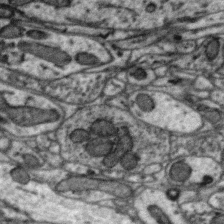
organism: Zebra finch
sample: Brain